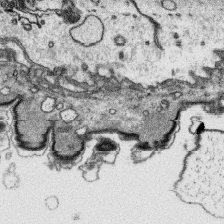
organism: Platynereis dumerilii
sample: Parapodia